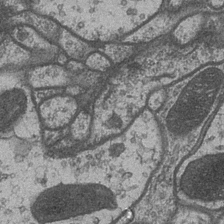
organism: Drosophila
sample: Optic medulla